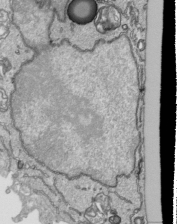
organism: Human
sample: Mitochondria in HCT116 cells